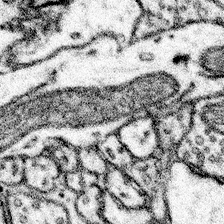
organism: Mouse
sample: Somatosensory cortex neuropil